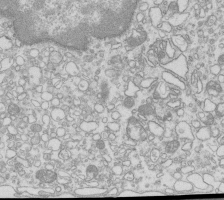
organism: Mouse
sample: Macrophages